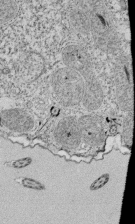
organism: Tetrahymena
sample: Cilia in tetrahymena